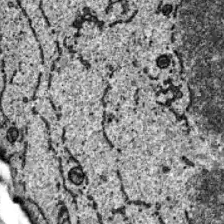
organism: Human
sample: HeLa cells